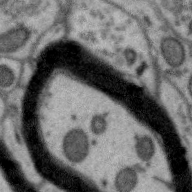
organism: Zebra finch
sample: Brain